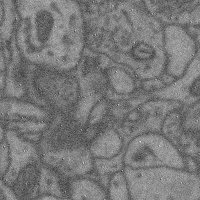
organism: Mouse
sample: Cerebral cortex